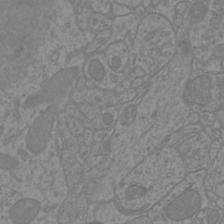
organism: Mouse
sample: Cortical neurons